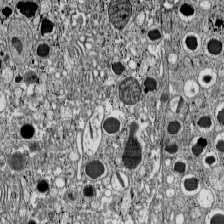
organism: C57BL Mouse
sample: Pancreatic islet